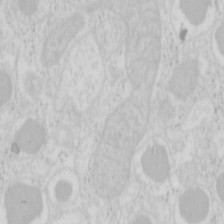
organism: Mouse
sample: Pancreas